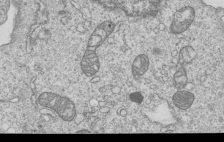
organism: Human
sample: MDA-MB-231 cells